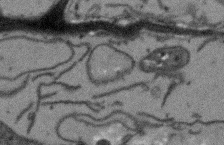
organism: Arabidopsis thaliana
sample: Root tip